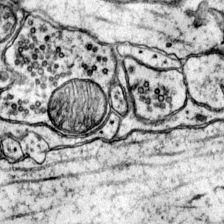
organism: Mouse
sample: Primary visual cortex